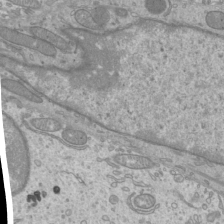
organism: Mouse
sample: Cilia; mouse epididymis